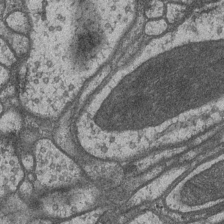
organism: Drosophila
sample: Optic medulla